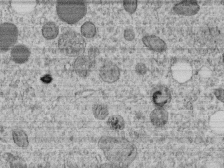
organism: C. elegans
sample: C. elegans embryo early stage